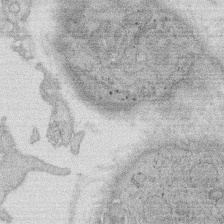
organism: Rat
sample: Salivary granule